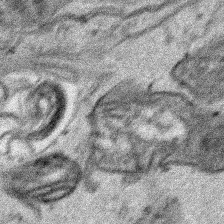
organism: Human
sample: Mitochondria in HCT116 cells